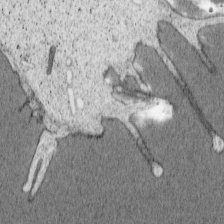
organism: African green monkey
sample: COS-7 cells